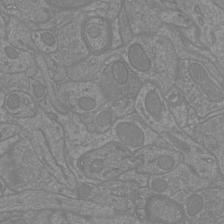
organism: Mouse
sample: Cortical neurons